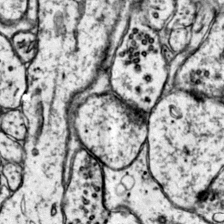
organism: Mouse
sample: Primary visual cortex